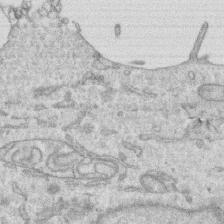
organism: Human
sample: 1205lu cells